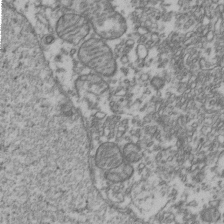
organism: Human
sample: Activated Jurkat CD4+ T cells